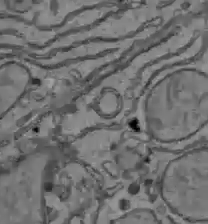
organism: C57BL Mouse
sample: Liver